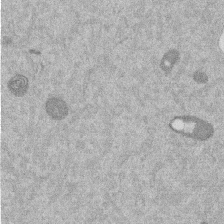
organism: Mouse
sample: Dividing mouse embryo 1 cell stage